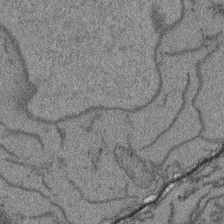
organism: Arabidopsis thaliana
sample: Root tip